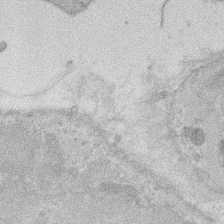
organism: Rat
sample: Salivary granule